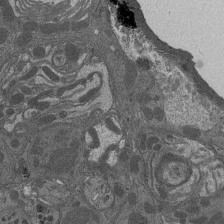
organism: Drosophila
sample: Antenna